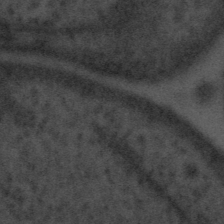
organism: Tuwongella immobilis